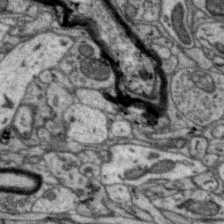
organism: Zebra finch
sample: Brain